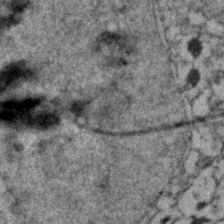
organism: Zebrafish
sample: Zebrafish embryo